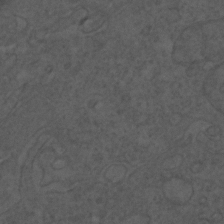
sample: Trachea